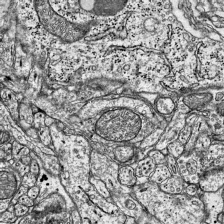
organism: Mouse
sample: Visual Cortex